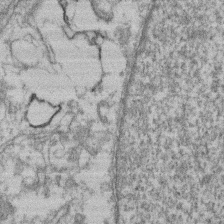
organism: Mouse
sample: T cell stromal cell synapse